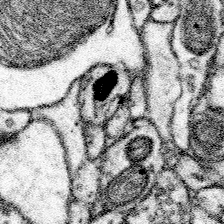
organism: Mouse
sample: Somatosensory cortex neuropil